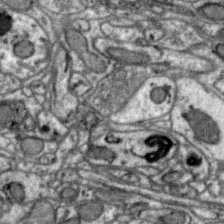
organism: Zebra finch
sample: Brain